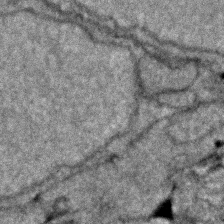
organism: Zebrafish